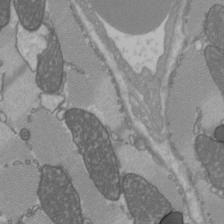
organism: C57BL Mouse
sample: Heart